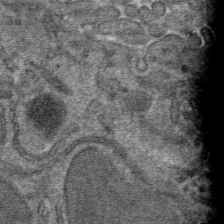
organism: Mouse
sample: Mouse hepatocytes